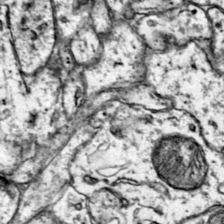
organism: Mouse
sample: Primary visual cortex